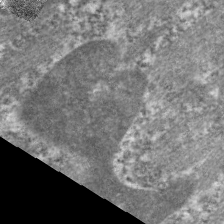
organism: C. elegans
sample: Pharynx